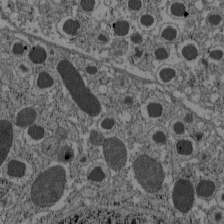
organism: C57BL Mouse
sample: Pancreatic islet